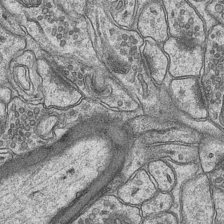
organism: Mouse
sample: CA1 Hippocampus